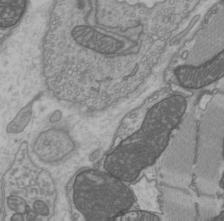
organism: C57BL Mouse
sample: Heart